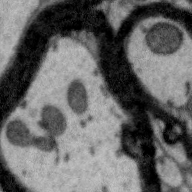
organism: Zebra finch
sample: Brain